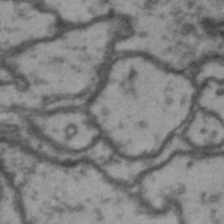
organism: Drosophila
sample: Brain